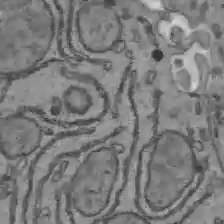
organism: C57BL Mouse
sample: Liver